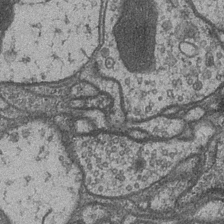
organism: Drosophila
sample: Optic medulla